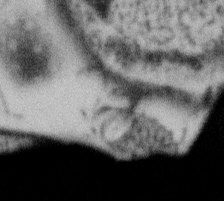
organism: Gemmata obscuriglobus